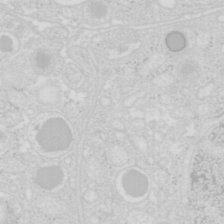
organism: Mouse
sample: Pancreas